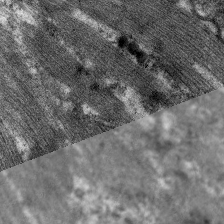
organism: C. elegans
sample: Pharynx